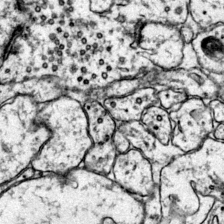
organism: Mouse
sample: Primary visual cortex